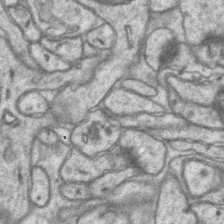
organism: Mouse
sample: CA1 Hippocampus